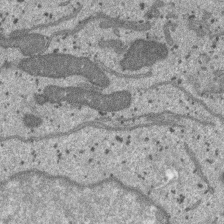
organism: Human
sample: Lung epithelial cells infected with SARS-CoV-2